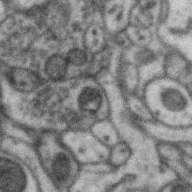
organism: Zebra finch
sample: Brain